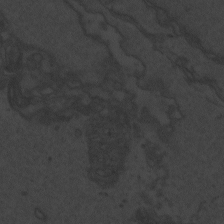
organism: Zebrafish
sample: Macrophage infected with Toxoplasma gondii